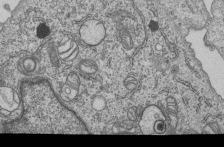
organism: Human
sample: MDA-MB-231 cells